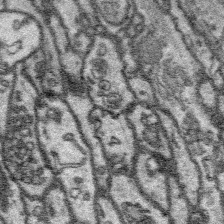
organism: Platynereis dumerilii